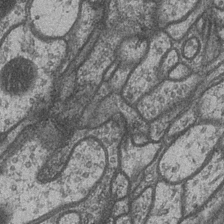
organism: Drosophila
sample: Optic medulla